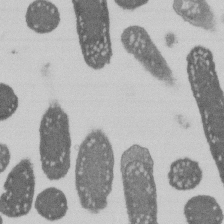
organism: E. coli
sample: Bacterial nucleoid